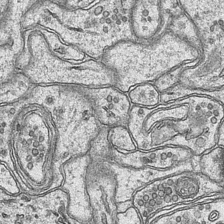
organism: Mouse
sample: CA1 Hippocampus